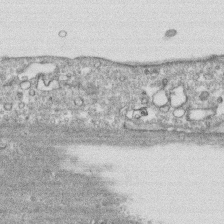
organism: Human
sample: CRL-1474